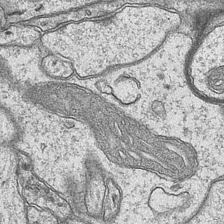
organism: Mouse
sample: CA1 Hippocampus